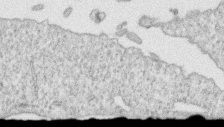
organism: Human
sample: HeLa cell HIV synapse